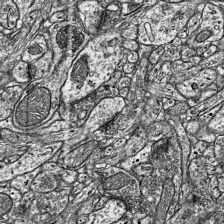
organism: Mouse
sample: Visual Cortex